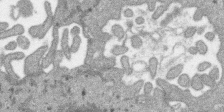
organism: Human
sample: Lung epithelial cells infected with SARS-CoV-2